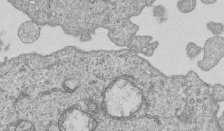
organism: Human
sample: MDA-MB-231 cells